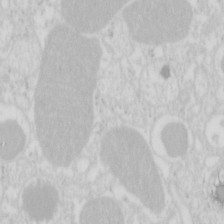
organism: Mouse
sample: Pancreas